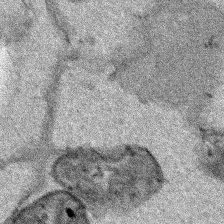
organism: Human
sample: Mitochondria in HCT116 cells